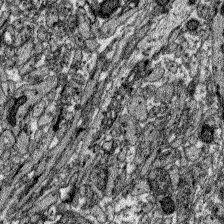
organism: Zebrafish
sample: Larval olfactory bulb